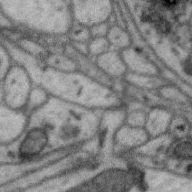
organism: Zebra finch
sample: Brain